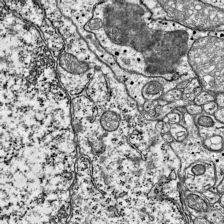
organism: Mouse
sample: Visual Cortex